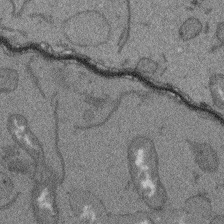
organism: Arabidopsis thaliana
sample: Root tip